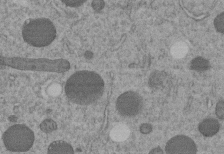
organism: C. elegans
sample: C. elegans embryo early stage